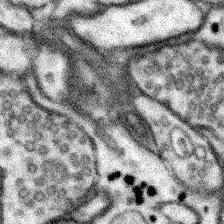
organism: Mouse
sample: Somatosensory cortex neuropil